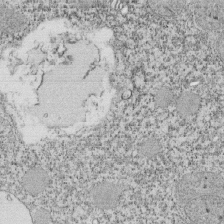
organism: Tetrahymena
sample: Cilia in tetrahymena